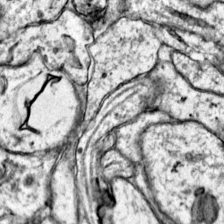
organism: Mouse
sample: Primary visual cortex